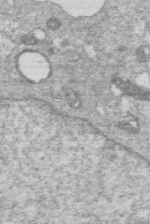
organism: Human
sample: Macrophage cells